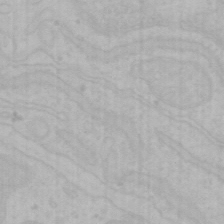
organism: Mouse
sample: Choroid plexus